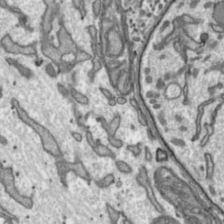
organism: Toxoplasma gondii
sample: Parasites in a vacuole inside a host cell